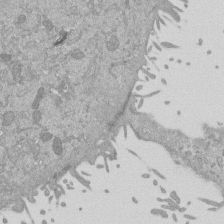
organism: Mouse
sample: ED-1 cell nuclei; centrioles